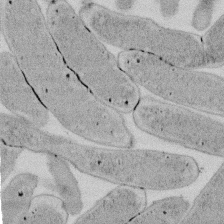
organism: E. coli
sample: Bacterial nucleoid